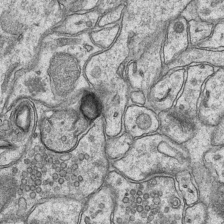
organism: Mouse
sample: CA1 Hippocampus